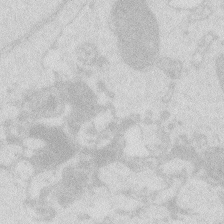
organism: Zebrafish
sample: Macrophage